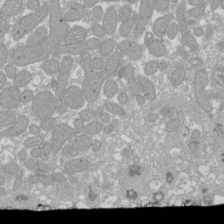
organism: Xenopus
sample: Cilia; centrioles in frog embryo cells